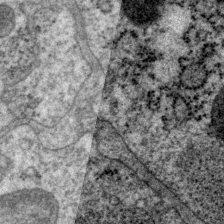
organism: P. pacificus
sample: Pharynx